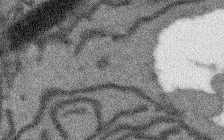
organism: Arabidopsis thaliana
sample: Root tip